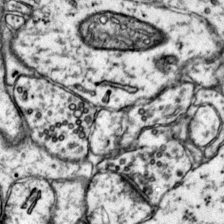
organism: Mouse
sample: Primary visual cortex